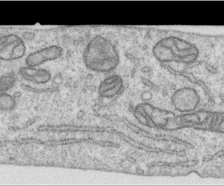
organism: Human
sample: Centriole in RPE cells